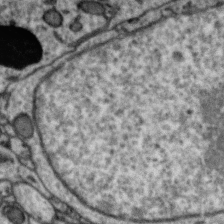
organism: Zebra finch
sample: Brain